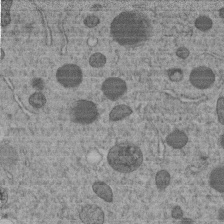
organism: C. elegans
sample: C. elegans embryo early stage